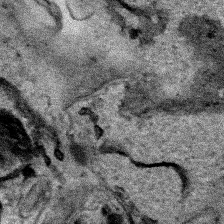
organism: Human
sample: Mitochondria in HCT116 cells